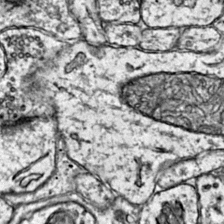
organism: Mouse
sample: Primary visual cortex